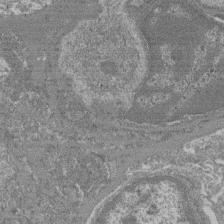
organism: Mouse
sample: Glomerulus